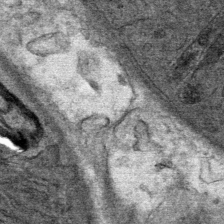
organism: Mouse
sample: Mouse Salivary gland